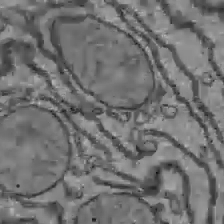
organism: C57BL Mouse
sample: Liver